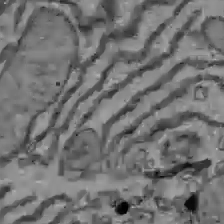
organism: C57BL Mouse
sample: Liver